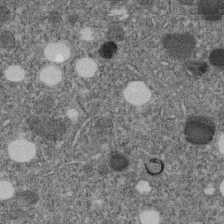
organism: C. elegans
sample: C. elegans embryo early stage